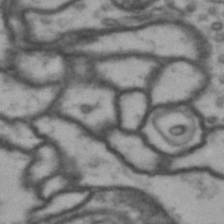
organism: Drosophila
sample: Brain